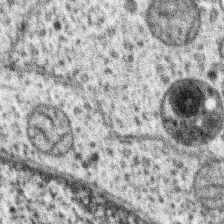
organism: Human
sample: HeLa cells